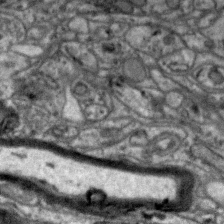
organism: Zebra finch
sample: Brain